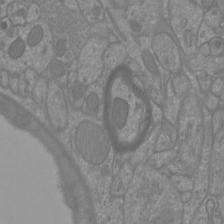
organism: Mouse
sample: Cortical neurons